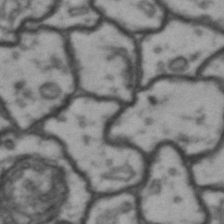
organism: Drosophila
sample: Brain